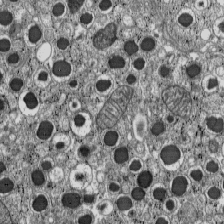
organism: C57BL Mouse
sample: Pancreatic islet